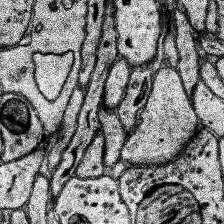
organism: Human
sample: Temporal Lobe